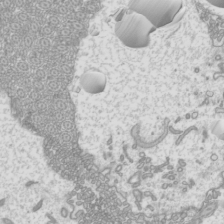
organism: Mouse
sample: Cilia; mouse epididymis